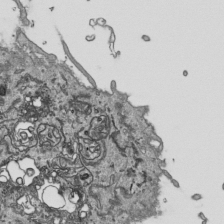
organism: Human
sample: Mitochondria in HCT116 cells